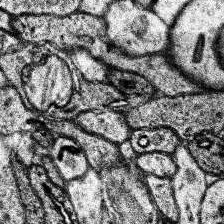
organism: Human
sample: Temporal Lobe